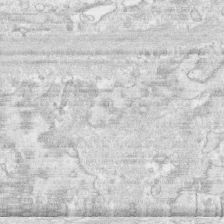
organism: Human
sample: CRL-1474